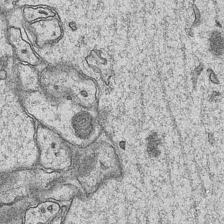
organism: Mouse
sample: CA1 Hippocampus